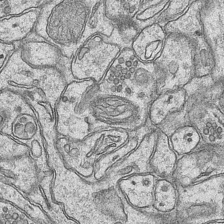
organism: Mouse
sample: CA1 Hippocampus